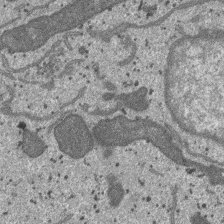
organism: Human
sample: Lung epithelial cells infected with SARS-CoV-2